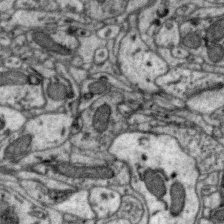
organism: Zebra finch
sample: Brain